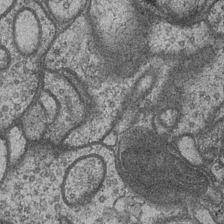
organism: Drosophila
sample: Optic medulla